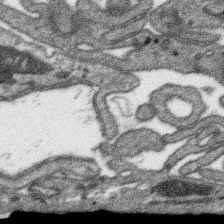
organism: Human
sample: Lung epithelial cells infected with SARS-CoV-2